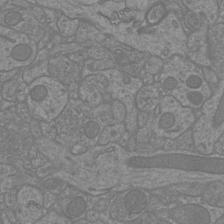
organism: Mouse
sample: Cortical neurons